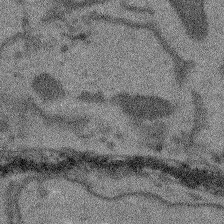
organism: Arabidopsis thaliana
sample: Root tip